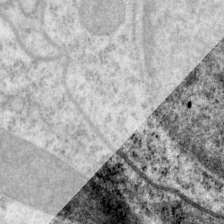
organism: P. pacificus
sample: Pharynx